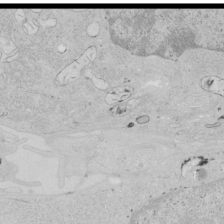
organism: Human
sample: Mitochondria in HCT116 cells